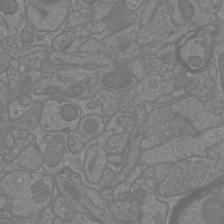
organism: Mouse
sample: Cortical neurons